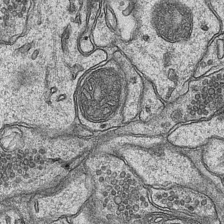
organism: Mouse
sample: CA1 Hippocampus